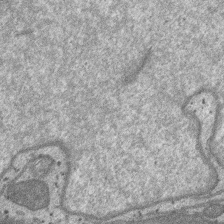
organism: Human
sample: Lung epithelial cells infected with SARS-CoV-2